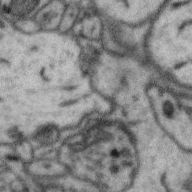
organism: Zebra finch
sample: Brain